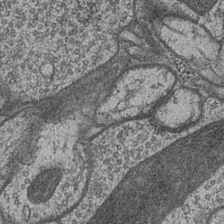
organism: Drosophila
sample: Optic medulla